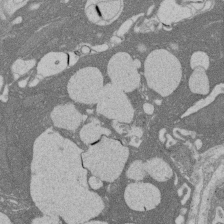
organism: Rat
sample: Salivary granule